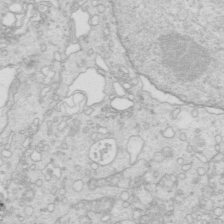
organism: Mouse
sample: Multiciliated cells